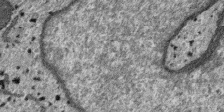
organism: Human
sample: Lung epithelial cells, uninfected (mock) control